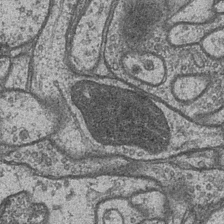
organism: Drosophila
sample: Optic medulla